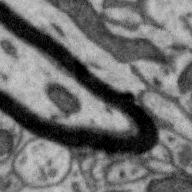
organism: Zebra finch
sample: Brain